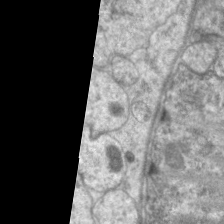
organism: C. elegans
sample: Pharynx